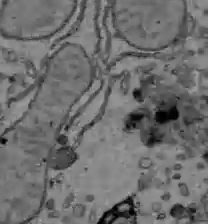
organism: C57BL Mouse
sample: Liver